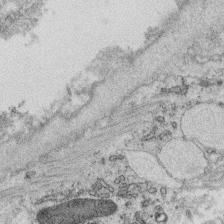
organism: C. elegans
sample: C. elegans oocyte; sperm cells